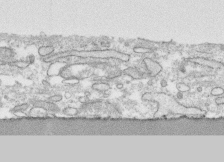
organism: Human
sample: CRL-1474